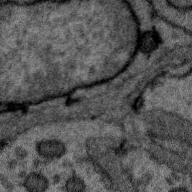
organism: Zebra finch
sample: Brain